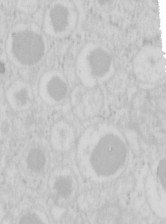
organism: Mouse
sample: Pancreas